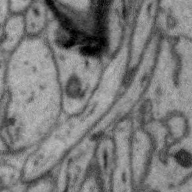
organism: Zebra finch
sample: Brain